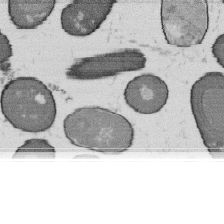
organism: B. subtilis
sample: Bacterial spore